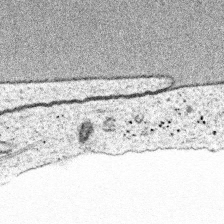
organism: Human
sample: HeLa cells